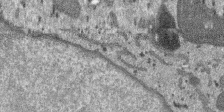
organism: Human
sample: Lung epithelial cells infected with SARS-CoV-2